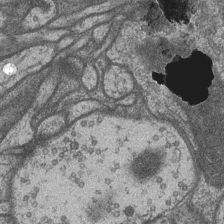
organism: Drosophila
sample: Optic medulla